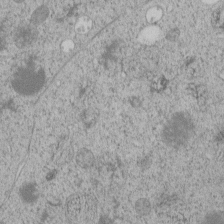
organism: C. elegans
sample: C. elegans embryo early stage